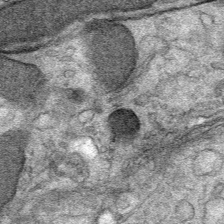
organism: Mouse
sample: Mouse Salivary gland